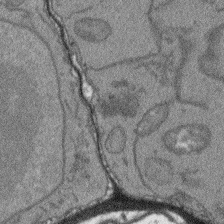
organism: Arabidopsis thaliana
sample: Root tip